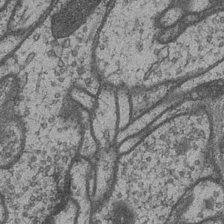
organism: Drosophila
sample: Optic medulla